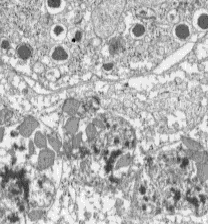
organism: C57BL Mouse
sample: Pancreatic islet